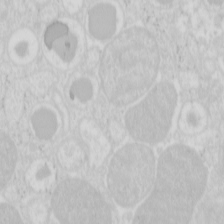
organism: Mouse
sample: Pancreas